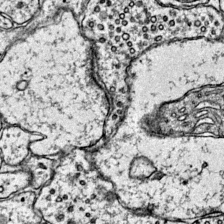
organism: Mouse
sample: Primary visual cortex